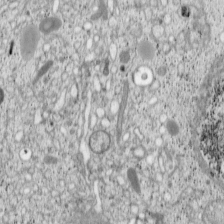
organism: African green monkey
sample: COS-7 cells